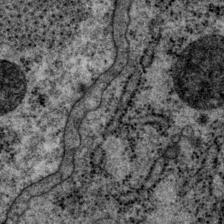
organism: P. pacificus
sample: Pharynx